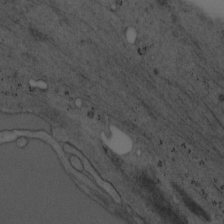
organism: Mouse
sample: OT-I killer T cells with ID8 ovarian cancer cells